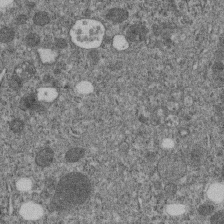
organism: C. elegans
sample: C. elegans embryo early stage